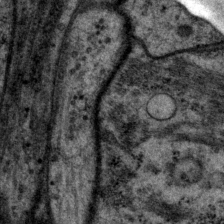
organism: P. pacificus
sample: Pharynx